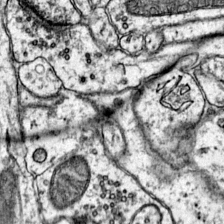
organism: Mouse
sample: Primary visual cortex